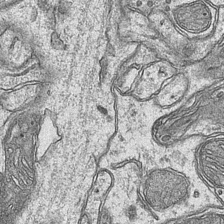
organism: Mouse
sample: CA1 Hippocampus